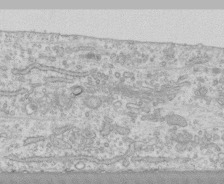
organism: Human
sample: CRL-1474